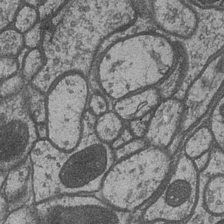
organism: Drosophila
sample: Optic medulla